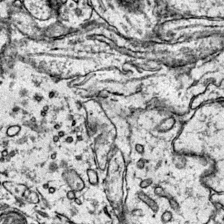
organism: Mouse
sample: Primary visual cortex